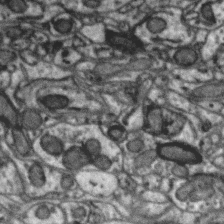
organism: Zebra finch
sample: Brain